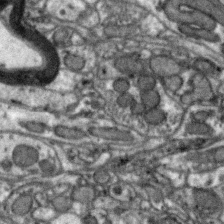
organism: Zebra finch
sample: Brain